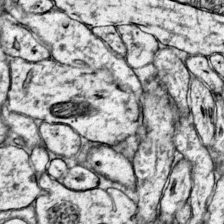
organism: Mouse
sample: Primary visual cortex